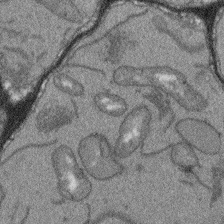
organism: Arabidopsis thaliana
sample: Root tip